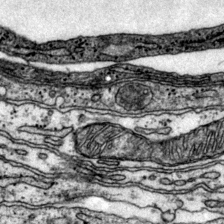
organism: Mouse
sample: Primary visual cortex